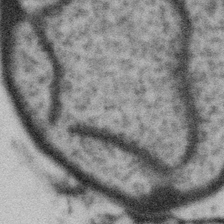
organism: Gemmata obscuriglobus